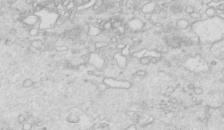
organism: Mouse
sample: Multiciliated cells